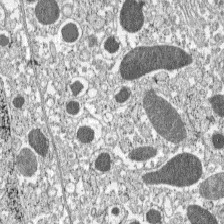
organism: C57BL Mouse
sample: Pancreatic islet